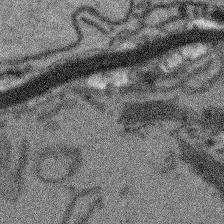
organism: Arabidopsis thaliana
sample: Root tip